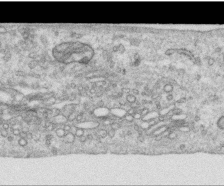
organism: Human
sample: Centriole in RPE cells